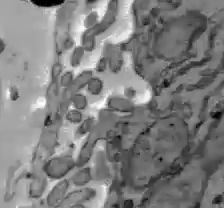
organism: C57BL Mouse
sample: Liver